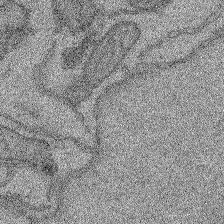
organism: Human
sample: HeLa cells